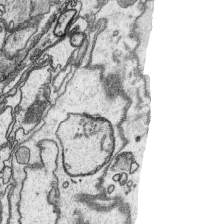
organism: Platynereis dumerilii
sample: Parapodia